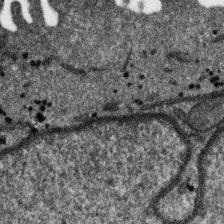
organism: Human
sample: Lung epithelial cells infected with SARS-CoV-2